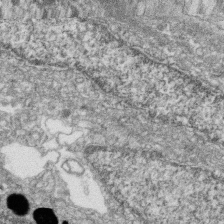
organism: Zebrafish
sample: Cilia; retinal pigment epithelium